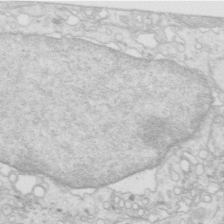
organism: Mouse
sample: Multiciliated cells